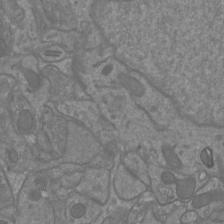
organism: Mouse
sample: Cortical neurons